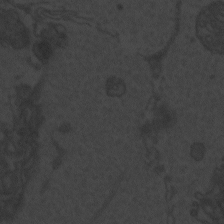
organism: Zebrafish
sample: Macrophage infected with Toxoplasma gondii